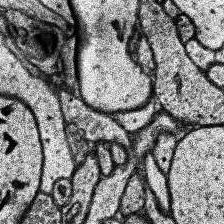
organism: Human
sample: Temporal Lobe